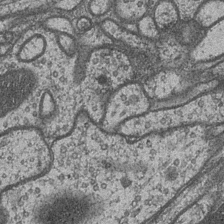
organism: Drosophila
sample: Optic medulla